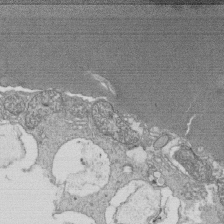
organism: Tetrahymena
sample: Cilia in tetrahymena